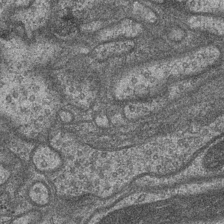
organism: Drosophila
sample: Optic medulla